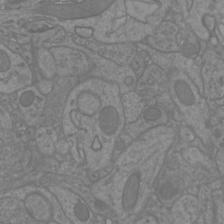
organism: Mouse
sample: Cortical neurons